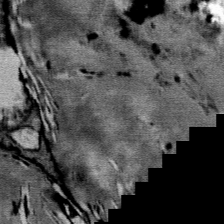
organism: Mouse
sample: Mouse Salivary gland